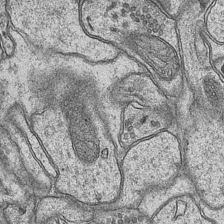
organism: Mouse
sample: CA1 Hippocampus